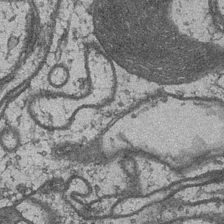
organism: Drosophila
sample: Optic medulla